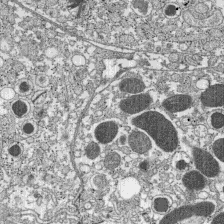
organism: C57BL Mouse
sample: Pancreatic islet